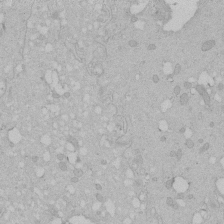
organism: Human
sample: Melanocyte Keratinocyte synapse skin construct